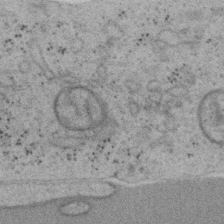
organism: Human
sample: HeLa cells